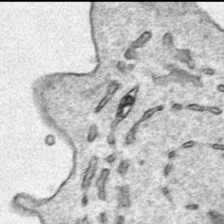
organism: Human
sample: Mitochondria in HCT116 cells